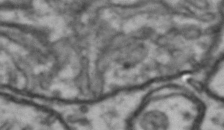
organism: Drosophila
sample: Brain